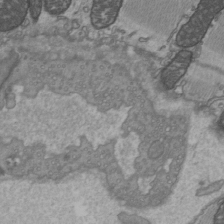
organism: C57BL Mouse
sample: Heart